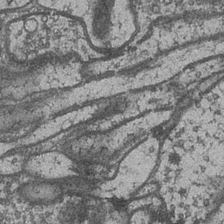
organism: Drosophila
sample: Optic medulla